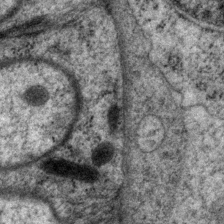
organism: P. pacificus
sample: Pharynx